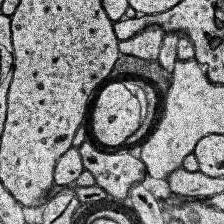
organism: Human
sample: Temporal Lobe